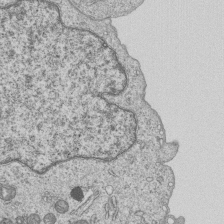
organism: Human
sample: MDA-MB-231 cells